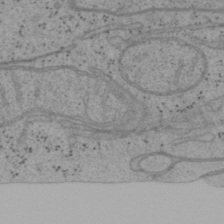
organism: Human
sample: HeLa cells